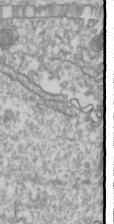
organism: Drosophila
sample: Cell division; meiosis; drosophila spermatocytes